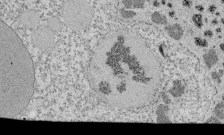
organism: Tetrahymena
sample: Cilia in tetrahymena